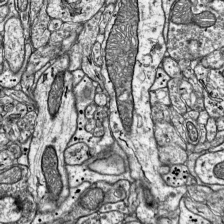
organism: Mouse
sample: Visual Cortex